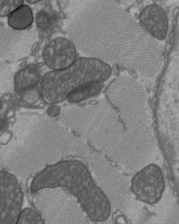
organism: C57BL Mouse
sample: Heart